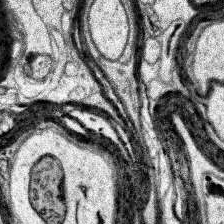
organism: Human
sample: Temporal Lobe